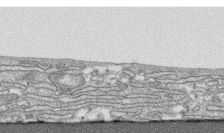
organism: Human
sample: CRL-1474